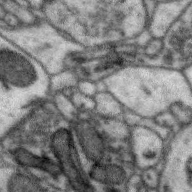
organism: Zebra finch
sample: Brain